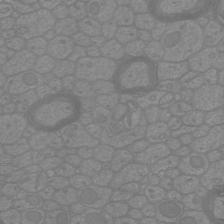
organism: Mouse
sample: Cortical neurons